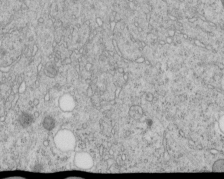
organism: C. elegans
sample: C. elegans embryo early stage